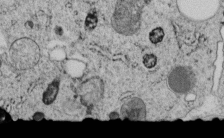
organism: C. elegans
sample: C. elegans embryo early stage